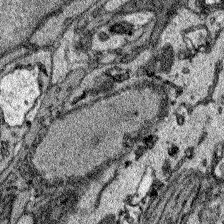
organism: Zebrafish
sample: Larval olfactory bulb